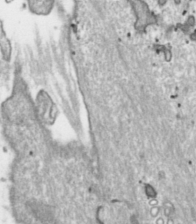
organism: Toxoplasma gondii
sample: Parasites in a vacuole inside a host cell